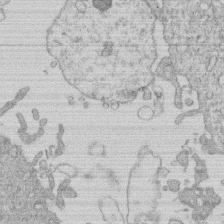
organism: Human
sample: Macrophage cells